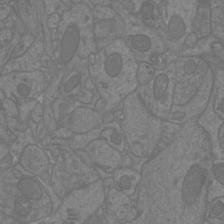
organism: Mouse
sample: Cortical neurons